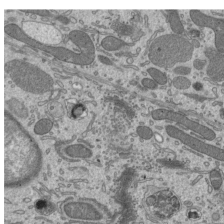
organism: Mouse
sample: Mouse epididymis efferent ductule cilia